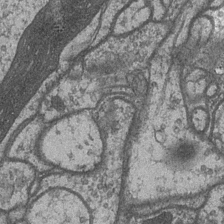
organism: Drosophila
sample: Optic medulla